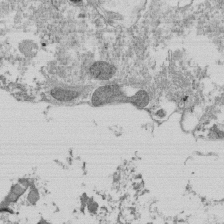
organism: Tetrahymena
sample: Cilia in tetrahymena